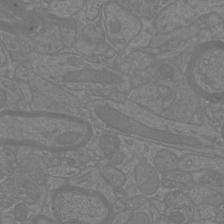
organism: Mouse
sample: Cortical neurons